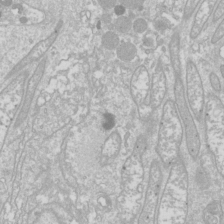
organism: Drosophila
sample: Cell division; meiosis; drosophila spermatocytes